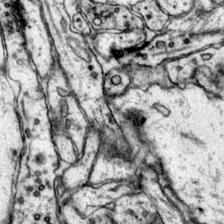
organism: Mouse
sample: Primary visual cortex